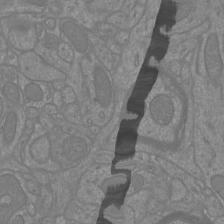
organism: Mouse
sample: Cortical neurons